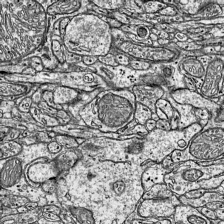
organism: Mouse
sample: Visual Cortex